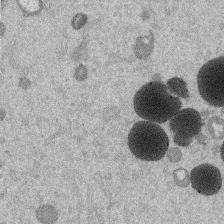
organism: Mouse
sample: Dividing mouse embryo 1 cell stage